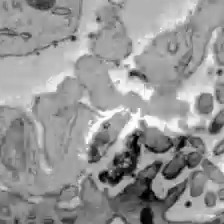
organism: C57BL Mouse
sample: Liver